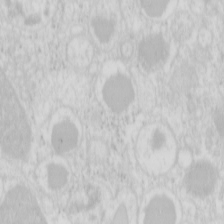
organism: Mouse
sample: Pancreas